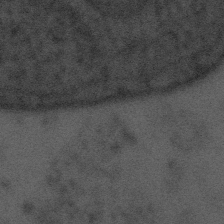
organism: Tuwongella immobilis